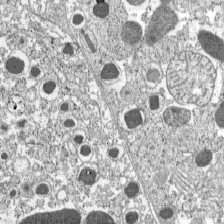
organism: C57BL Mouse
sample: Pancreatic islet